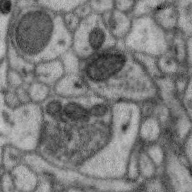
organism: Zebra finch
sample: Brain